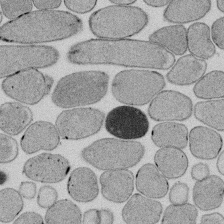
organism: E. coli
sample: Bacterial nucleoid